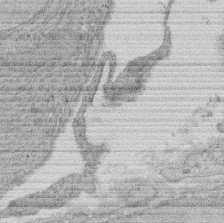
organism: Rat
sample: Salivary granule